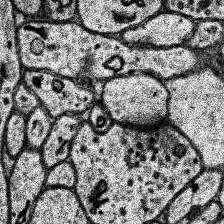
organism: Human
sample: Temporal Lobe